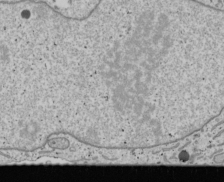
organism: Human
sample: Mitochondria in U2OS cells